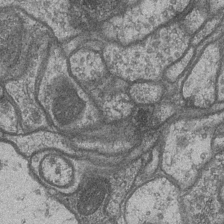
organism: Drosophila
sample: Optic medulla